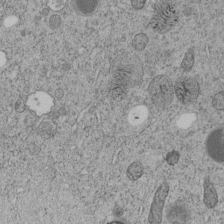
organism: C. elegans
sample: C. elegans embryo early stage